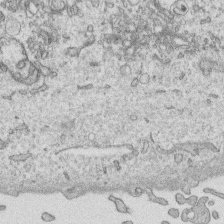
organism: Human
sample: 1205lu cells